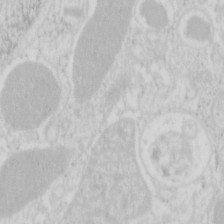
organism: Mouse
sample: Pancreas